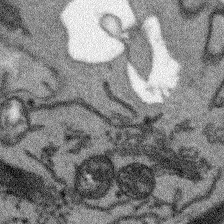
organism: Arabidopsis thaliana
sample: Root tip